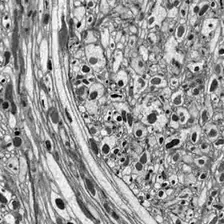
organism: Drosophila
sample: Optic lobe